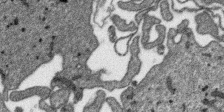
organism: Human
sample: Lung epithelial cells infected with SARS-CoV-2